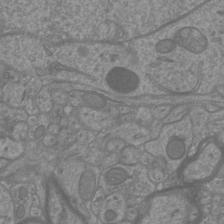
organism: Mouse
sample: Cortical neurons